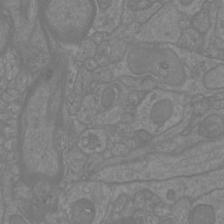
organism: Mouse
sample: Cortical neurons